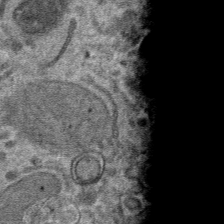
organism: Mouse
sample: Mouse hepatocytes